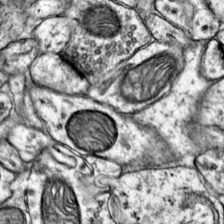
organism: Mouse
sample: Primary visual cortex